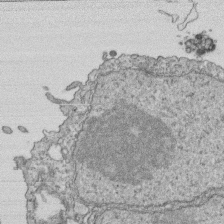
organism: Human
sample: HeLa cell HIV synapse